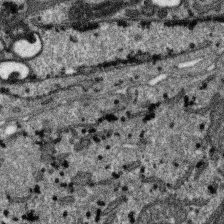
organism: Human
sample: Lung epithelial cells infected with SARS-CoV-2